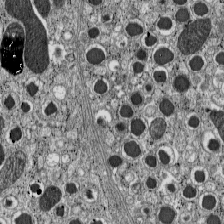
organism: C57BL Mouse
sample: Pancreatic islet